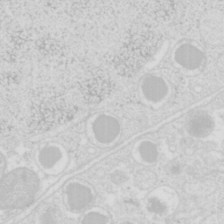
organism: Mouse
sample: Pancreas